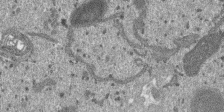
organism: Human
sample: Lung epithelial cells infected with SARS-CoV-2